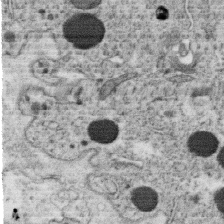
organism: C. elegans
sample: C. elegans oocyte; sperm cells